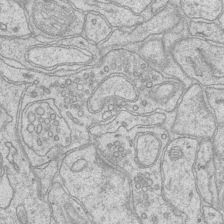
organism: Mouse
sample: CA1 Hippocampus